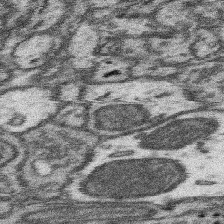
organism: Mouse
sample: Somatosensory cortex neuropil